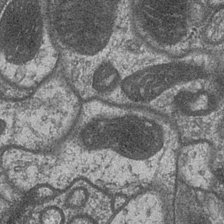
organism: Drosophila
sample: Optic medulla